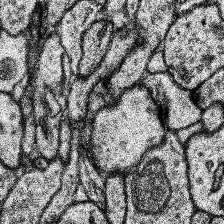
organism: Human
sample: Temporal Lobe